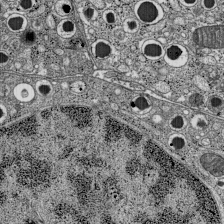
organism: C57BL Mouse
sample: Pancreatic islet